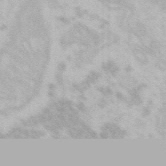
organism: Mouse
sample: Choroid plexus